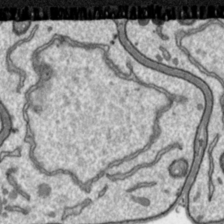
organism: Toxoplasma gondii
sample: Parasites in a vacuole inside a host cell